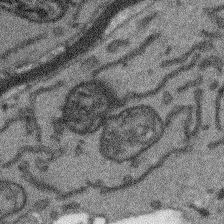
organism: Arabidopsis thaliana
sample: Root tip